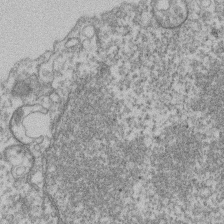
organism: Mouse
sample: T cell stromal cell synapse